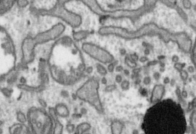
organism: Toxoplasma gondii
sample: Parasites in a vacuole inside a host cell